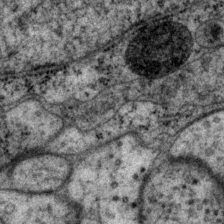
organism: P. pacificus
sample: Pharynx